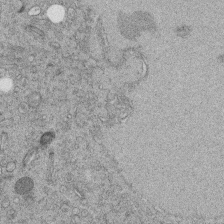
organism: C. elegans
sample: C. elegans embryo early stage